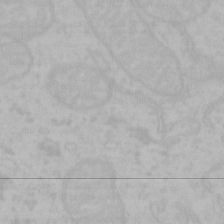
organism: Mouse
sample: Choroid plexus